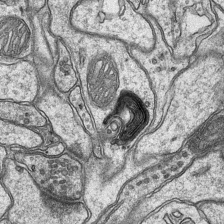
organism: Mouse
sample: CA1 Hippocampus